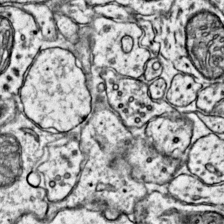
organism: Mouse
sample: Primary visual cortex